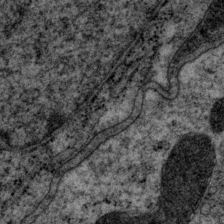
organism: P. pacificus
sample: Pharynx